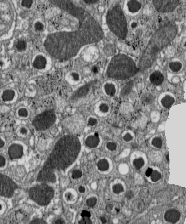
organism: C57BL Mouse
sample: Pancreatic islet